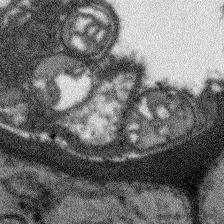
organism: Arabidopsis thaliana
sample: Root tip